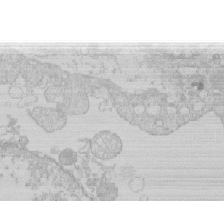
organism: Human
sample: Macrophage cells